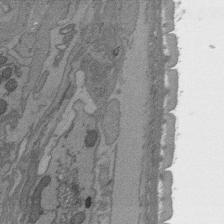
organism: C. elegans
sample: AFD neurons C. elegans